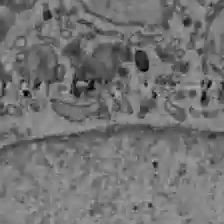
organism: C57BL Mouse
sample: Liver